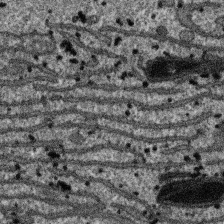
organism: Human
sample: Lung epithelial cells infected with SARS-CoV-2